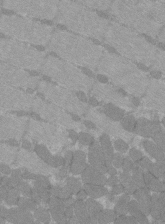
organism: C57BL Mouse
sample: Tibialis anterior muscle cell